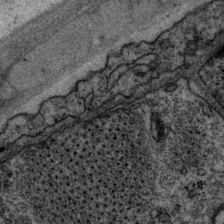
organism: P. pacificus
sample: Pharynx